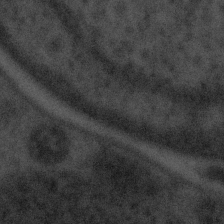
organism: Tuwongella immobilis